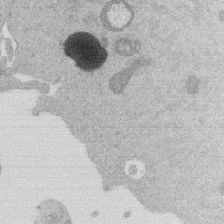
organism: Mouse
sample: Dividing mouse embryo 1 cell stage